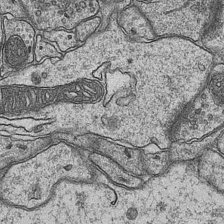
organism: Mouse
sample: CA1 Hippocampus